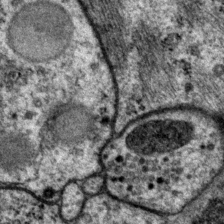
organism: P. pacificus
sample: Pharynx